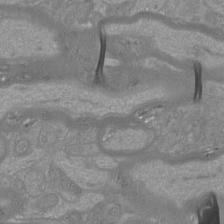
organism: Mouse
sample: Cortical neurons